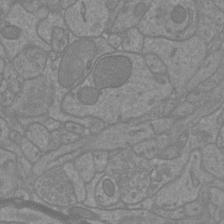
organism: Mouse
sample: Cortical neurons